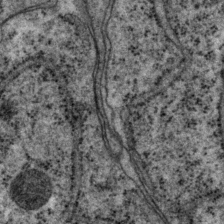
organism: P. pacificus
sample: Pharynx